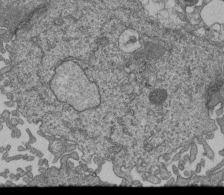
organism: Human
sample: Retinal organoid Rod and Cone cells